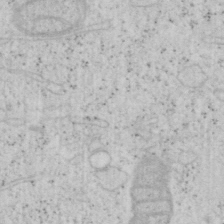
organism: Human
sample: HeLa cells